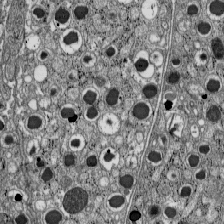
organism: C57BL Mouse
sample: Pancreatic islet